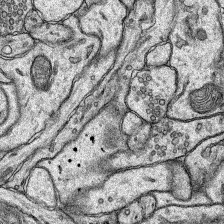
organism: Rat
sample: Hippocampus